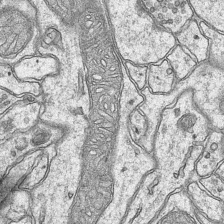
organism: Mouse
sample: CA1 Hippocampus